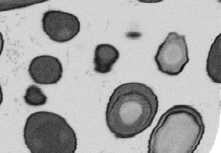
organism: B. subtilis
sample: Bacterial spore